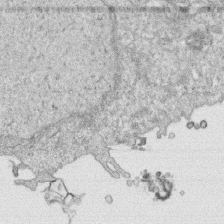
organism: Human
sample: HeLa cell HIV synapse